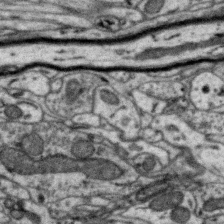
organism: Zebra finch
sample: Brain